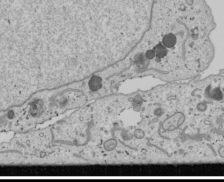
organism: Human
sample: Mitochondria in U2OS cells